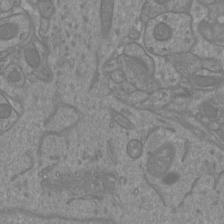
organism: Mouse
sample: Cortical neurons